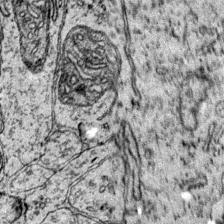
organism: Mouse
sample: Primary visual cortex